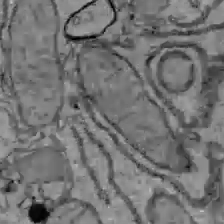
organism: C57BL Mouse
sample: Liver